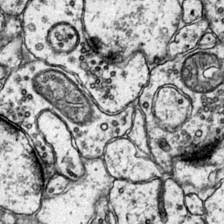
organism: Mouse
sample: Primary visual cortex